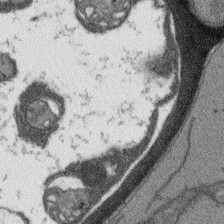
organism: Arabidopsis thaliana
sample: Root tip